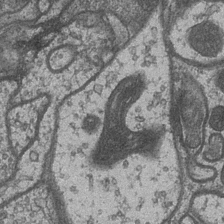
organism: Drosophila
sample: Optic medulla